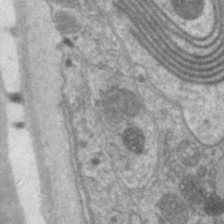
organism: C. elegans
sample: Pharynx